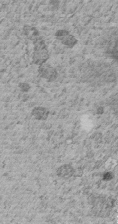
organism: C. elegans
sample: C. elegans embryo early stage